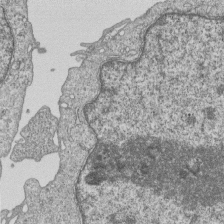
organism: Human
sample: MDA-MB-231 cells